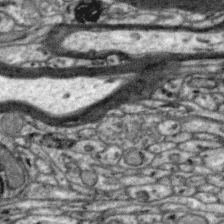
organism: Zebra finch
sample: Brain